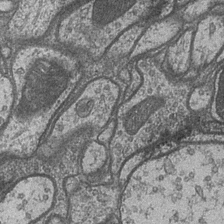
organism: Drosophila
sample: Optic medulla